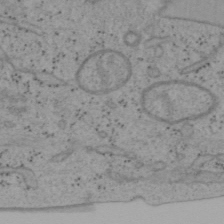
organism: Human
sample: HeLa cells